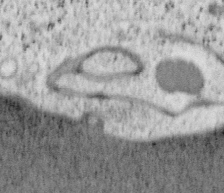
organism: Mouse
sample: OT-I killer T cells with ID8 ovarian cancer cells